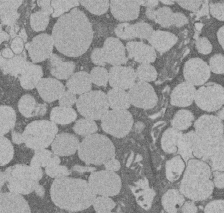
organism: Rat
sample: Salivary granule